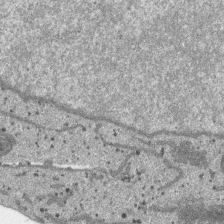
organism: Human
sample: Lung epithelial cells infected with SARS-CoV-2